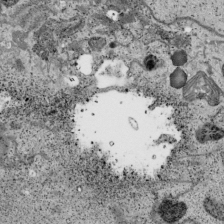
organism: Human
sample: Mitochondria in HCT116 cells